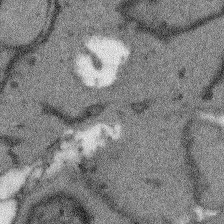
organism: Arabidopsis thaliana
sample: Root tip